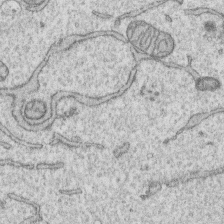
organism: Human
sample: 1205lu cells